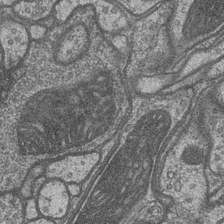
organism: Drosophila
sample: Optic medulla